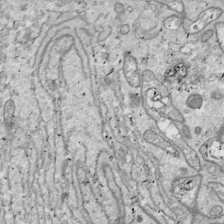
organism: Drosophila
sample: Cell division; meiosis; drosophila spermatocytes